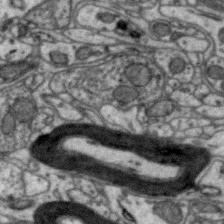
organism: Zebra finch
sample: Brain